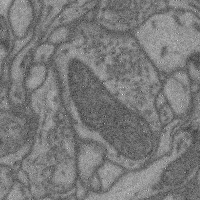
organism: Mouse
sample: Cerebral cortex